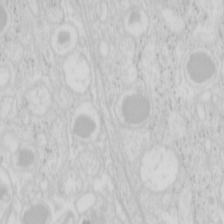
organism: Mouse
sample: Pancreas